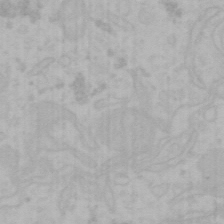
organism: Mouse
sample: Choroid plexus